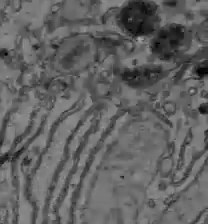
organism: C57BL Mouse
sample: Liver